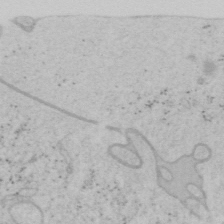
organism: Human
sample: HeLa cells